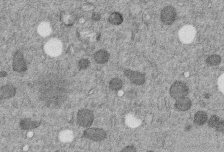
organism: C. elegans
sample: C. elegans embryo early stage